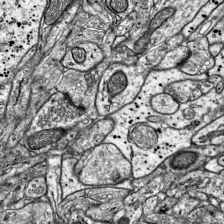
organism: Mouse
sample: Visual Cortex